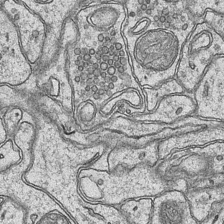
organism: Mouse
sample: CA1 Hippocampus